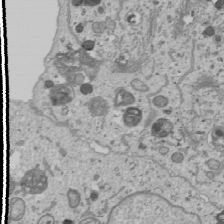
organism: Human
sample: Mitochondria in U2OS cells